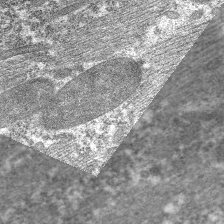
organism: C. elegans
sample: Pharynx